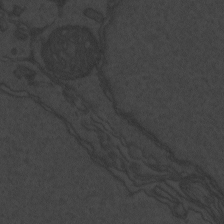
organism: Zebrafish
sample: Macrophage infected with Toxoplasma gondii